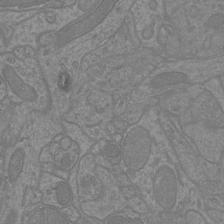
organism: Mouse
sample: Cortical neurons